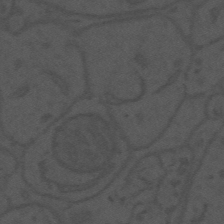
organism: Mouse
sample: Suprachiasmatic nucleus